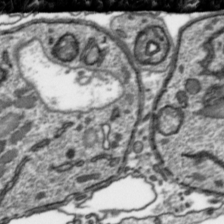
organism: Toxoplasma gondii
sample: Parasites in a vacuole inside a host cell